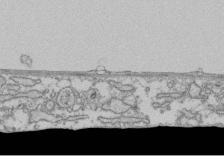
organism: Human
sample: Fibroblast cells